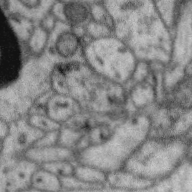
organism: Zebra finch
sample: Brain